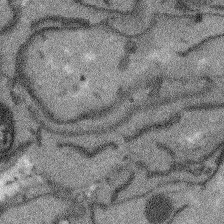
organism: Arabidopsis thaliana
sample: Root tip